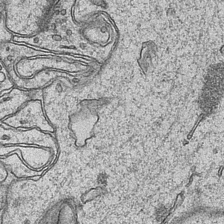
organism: Mouse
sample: CA1 Hippocampus